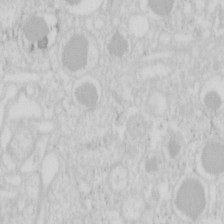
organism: Mouse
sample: Pancreas